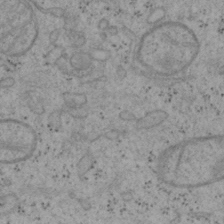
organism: Human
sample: HeLa cells